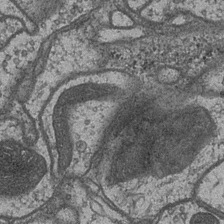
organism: Drosophila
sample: Optic medulla